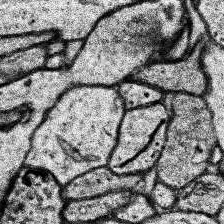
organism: Human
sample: Temporal Lobe